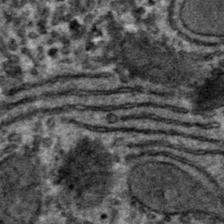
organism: Mouse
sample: Mouse hepatocytes